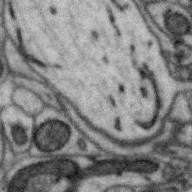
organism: Zebra finch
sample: Brain